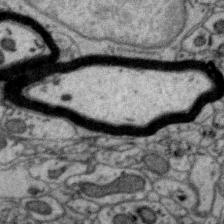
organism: Zebra finch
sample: Brain